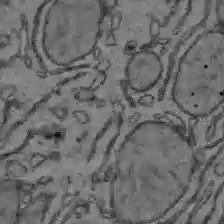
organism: C57BL Mouse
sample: Liver